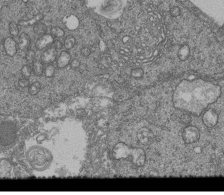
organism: Human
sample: Retinal organoid Rod and Cone cells